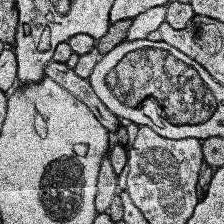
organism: Human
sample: Temporal Lobe